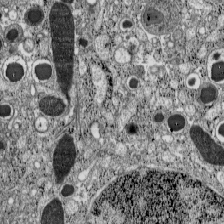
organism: C57BL Mouse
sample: Pancreatic islet